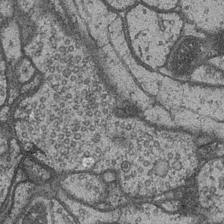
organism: Drosophila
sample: Optic medulla